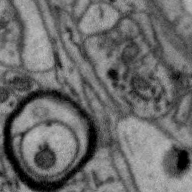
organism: Zebra finch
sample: Brain